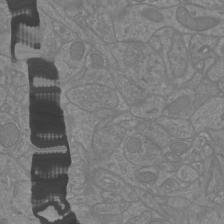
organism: Mouse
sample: Cortical neurons